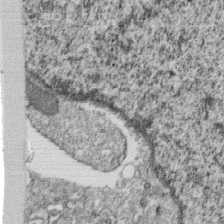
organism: African green monkey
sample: Vero E6 cells infected with SARS-CoV-2